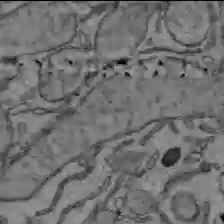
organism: C57BL Mouse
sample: Liver